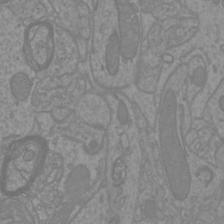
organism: Mouse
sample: Cortical neurons